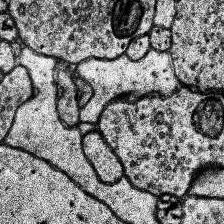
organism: Human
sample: Temporal Lobe